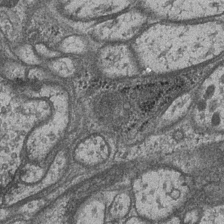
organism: Drosophila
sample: Optic medulla